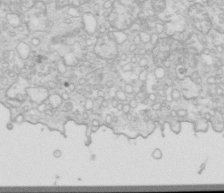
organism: Mouse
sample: Multiciliated cells